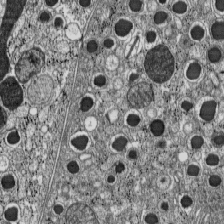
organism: C57BL Mouse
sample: Pancreatic islet